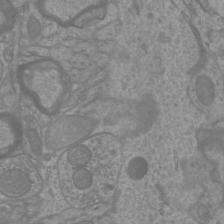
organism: Mouse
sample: Cortical neurons